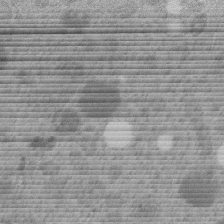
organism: C. elegans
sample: C. elegans embryo early stage